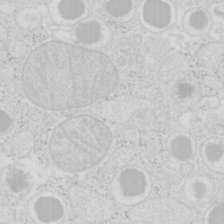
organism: Mouse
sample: Pancreas